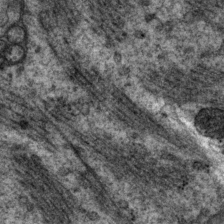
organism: P. pacificus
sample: Pharynx